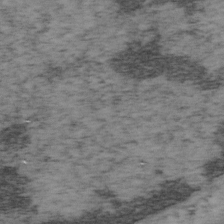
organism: Mouse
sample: OT-I killer T cells with ID8 ovarian cancer cells